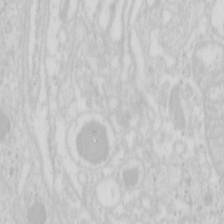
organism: Mouse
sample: Pancreas